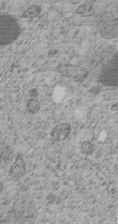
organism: C. elegans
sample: C. elegans embryo early stage